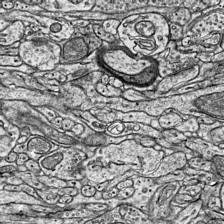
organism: Mouse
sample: Visual Cortex